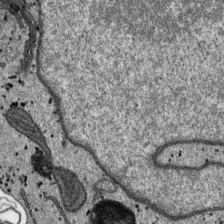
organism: Human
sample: Lung epithelial cells, uninfected (mock) control